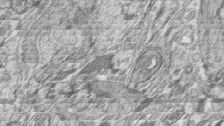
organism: Zebrafish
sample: synaptic ribbons in rod cells and cone cells